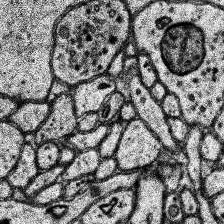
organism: Human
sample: Temporal Lobe